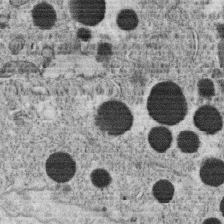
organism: C. elegans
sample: C. elegans oocyte; sperm cells